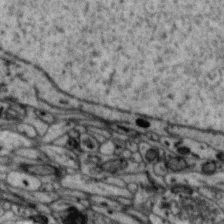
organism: Zebra finch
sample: Brain